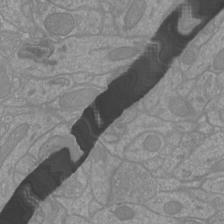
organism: Mouse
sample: Cortical neurons